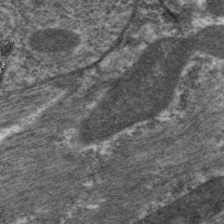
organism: C. elegans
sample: Pharynx